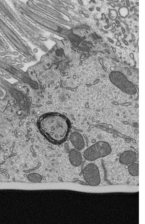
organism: Mouse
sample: Mouse epididymis efferent ductule cilia